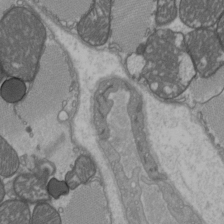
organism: C57BL Mouse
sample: Heart